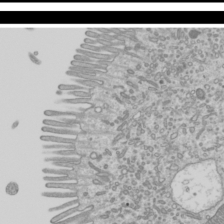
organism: Mouse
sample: Cilia; mouse epididymis